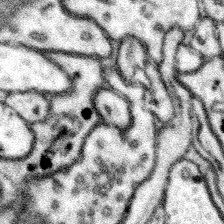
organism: Mouse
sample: Somatosensory cortex neuropil